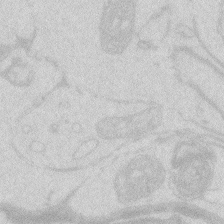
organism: Zebrafish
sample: Macrophage